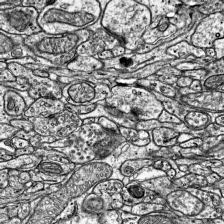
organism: Mouse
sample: Visual Cortex